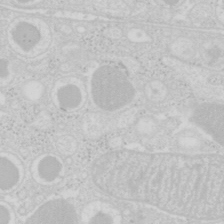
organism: Mouse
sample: Pancreas